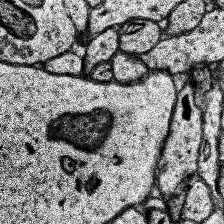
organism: Human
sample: Temporal Lobe